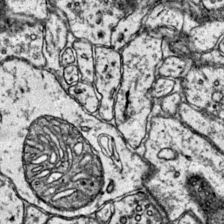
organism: Mouse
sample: Primary visual cortex